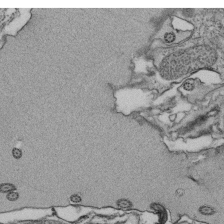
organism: Tetrahymena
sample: Cilia in tetrahymena